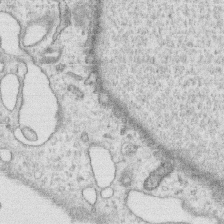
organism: Human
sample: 1205lu cells